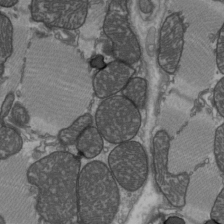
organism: C57BL Mouse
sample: Heart